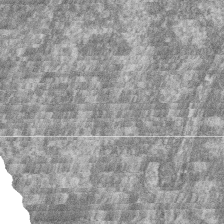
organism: Zebrafish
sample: Cilia; retinal pigment epithelium